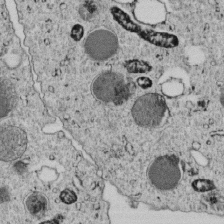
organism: C. elegans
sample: C. elegans embryo early stage